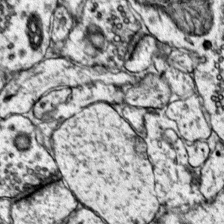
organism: Mouse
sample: Primary visual cortex